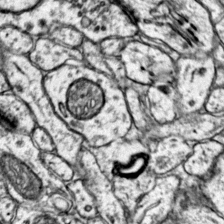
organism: Mouse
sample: Primary visual cortex